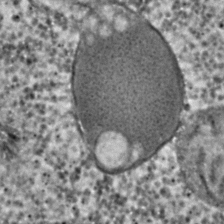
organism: C. elegans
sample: C. elegans embryo